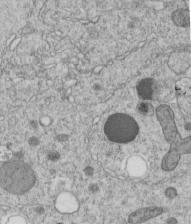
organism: C. elegans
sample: C. elegans embryo early stage